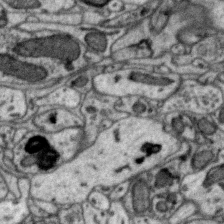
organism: Zebra finch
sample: Brain